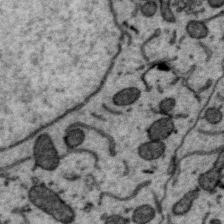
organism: Zebra finch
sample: Brain